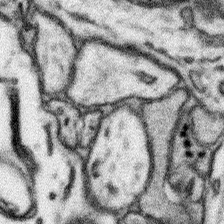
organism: Mouse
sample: Somatosensory cortex neuropil